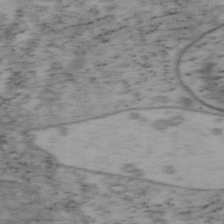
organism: Mouse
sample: OT-I killer T cells with ID8 ovarian cancer cells